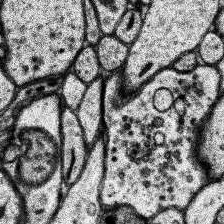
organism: Human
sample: Temporal Lobe